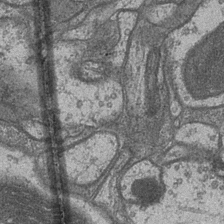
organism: Drosophila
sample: Optic medulla